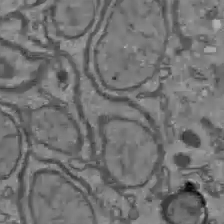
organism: C57BL Mouse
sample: Liver